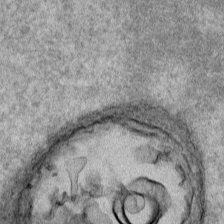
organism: Human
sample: Mitochondria in HCT116 cells